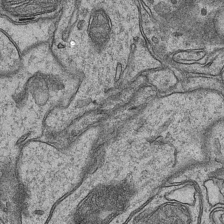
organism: Mouse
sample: CA1 Hippocampus